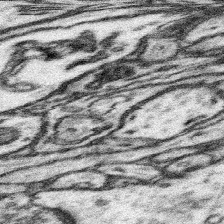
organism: Mouse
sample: Somatosensory cortex neuropil